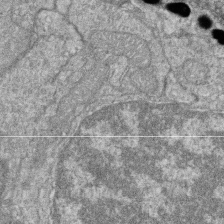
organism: Zebrafish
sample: Cilia; retinal pigment epithelium